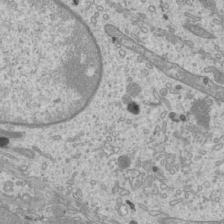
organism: Mouse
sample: Cilia; mouse epididymis